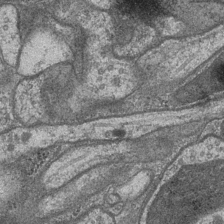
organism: Drosophila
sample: Optic medulla